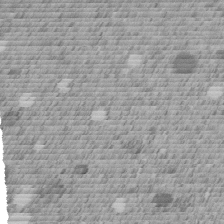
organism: C. elegans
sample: C. elegans embryo early stage